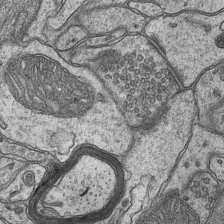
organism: Mouse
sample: CA1 Hippocampus